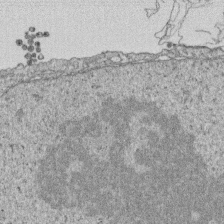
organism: Human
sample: HeLa cell HIV synapse